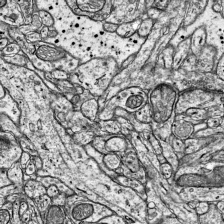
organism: Mouse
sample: Visual Cortex